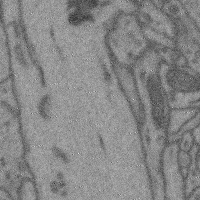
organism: Mouse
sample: Cerebral cortex